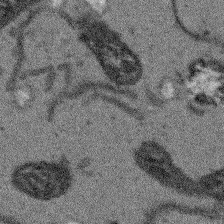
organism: Arabidopsis thaliana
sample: Root tip